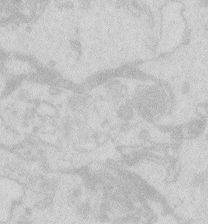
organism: Zebrafish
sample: Macrophage